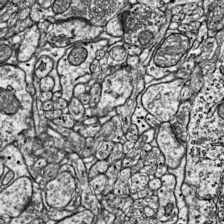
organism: Mouse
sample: Visual Cortex